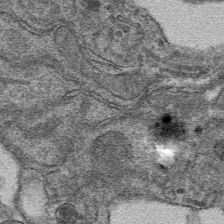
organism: Mouse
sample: Mouse hepatocytes